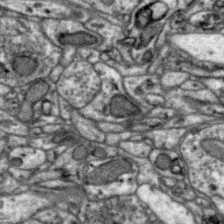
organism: Zebra finch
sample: Brain